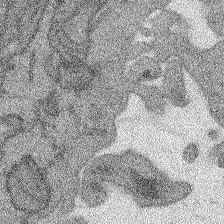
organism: Human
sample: HeLa cells